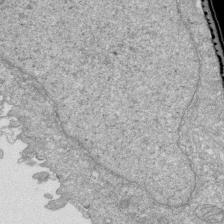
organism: Human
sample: HeLa cell HIV synapse